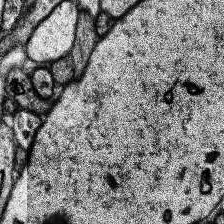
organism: Human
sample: Temporal Lobe